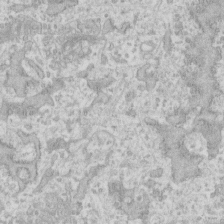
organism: Human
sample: Fibroblast cells